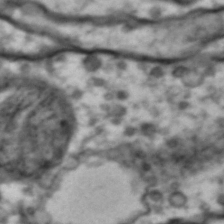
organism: Drosophila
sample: Brain